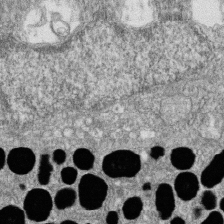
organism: Zebrafish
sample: Cilia; retinal pigment epithelium